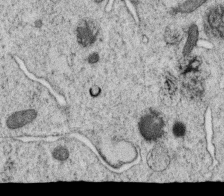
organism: C. elegans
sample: C. elegans oocyte; sperm cells